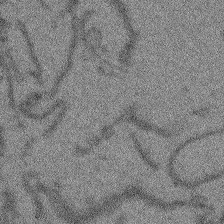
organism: Arabidopsis thaliana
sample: Root tip